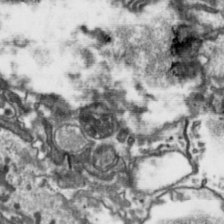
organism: Toxoplasma gondii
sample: Parasites in a vacuole inside a host cell